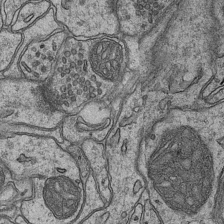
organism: Mouse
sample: CA1 Hippocampus